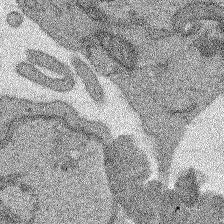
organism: Human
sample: HeLa cells